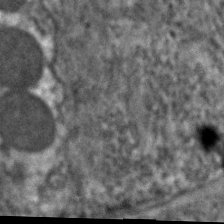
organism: C. elegans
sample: Pharynx